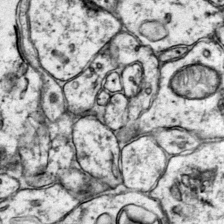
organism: Mouse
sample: Primary visual cortex